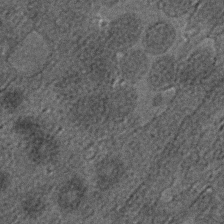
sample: Trachea